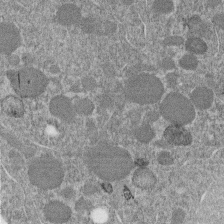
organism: C. elegans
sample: C. elegans embryo early stage